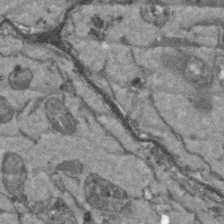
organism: Arabidopsis thaliana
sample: Root tip